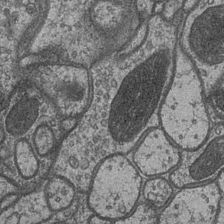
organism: Drosophila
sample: Optic medulla